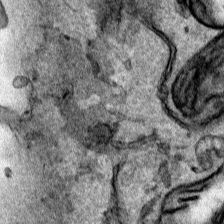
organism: Human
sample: Mitochondria in HCT116 cells